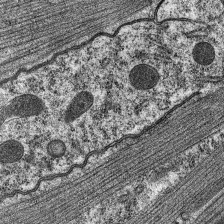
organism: C. elegans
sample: Pharynx